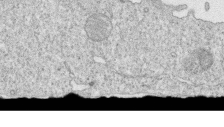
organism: Human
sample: HeLa cell HIV synapse